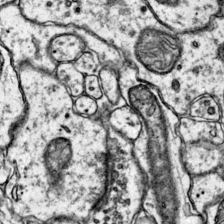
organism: Mouse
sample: Primary visual cortex